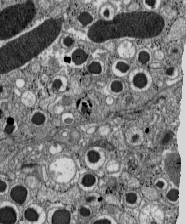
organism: C57BL Mouse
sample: Pancreatic islet